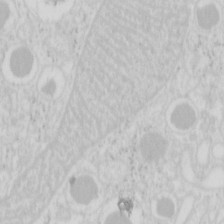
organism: Mouse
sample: Pancreas